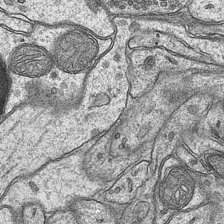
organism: Mouse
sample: CA1 Hippocampus